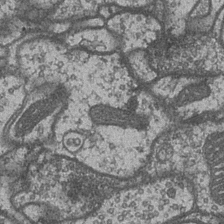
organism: Drosophila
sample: Optic medulla